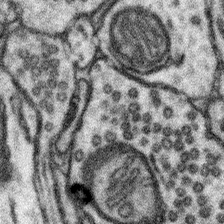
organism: Mouse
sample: Somatosensory cortex neuropil